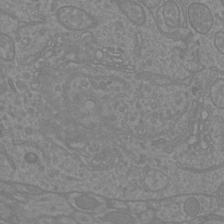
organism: Mouse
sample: Cortical neurons